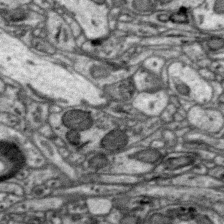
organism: Zebra finch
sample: Brain